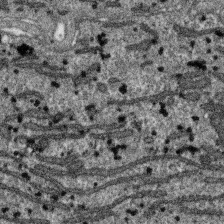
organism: Human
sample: Lung epithelial cells infected with SARS-CoV-2